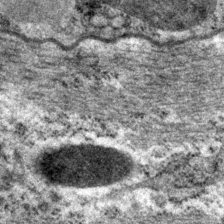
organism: P. pacificus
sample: Pharynx